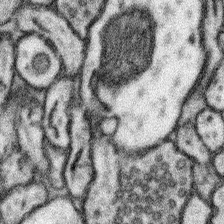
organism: Mouse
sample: Somatosensory cortex neuropil